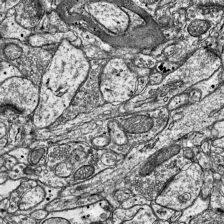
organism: Mouse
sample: Visual Cortex